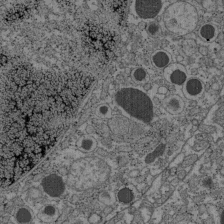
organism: C57BL Mouse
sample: Pancreatic islet